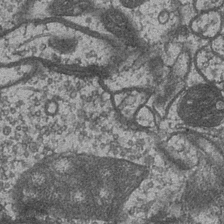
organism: Drosophila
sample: Optic medulla